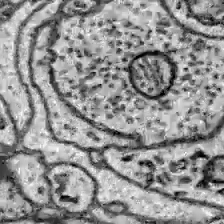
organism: Zebrafish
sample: Brain